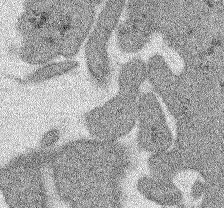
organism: Human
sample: HeLa cells